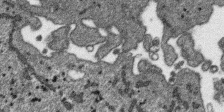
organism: Human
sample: Lung epithelial cells infected with SARS-CoV-2